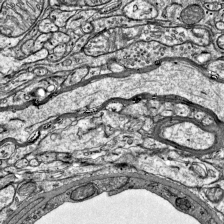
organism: Mouse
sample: Visual Cortex